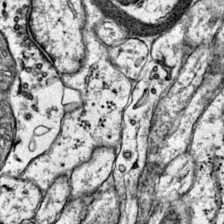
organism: Mouse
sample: Primary visual cortex